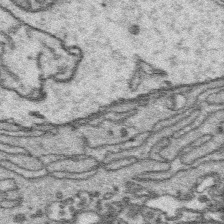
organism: Platynereis dumerilii